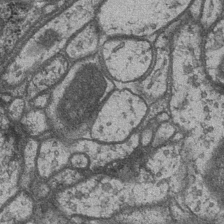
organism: Drosophila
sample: Optic medulla